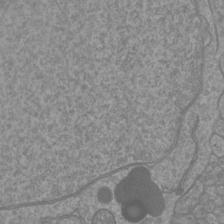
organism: Mouse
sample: Cortical neurons